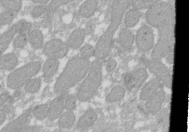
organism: Xenopus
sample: Cilia; centrioles in frog embryo cells